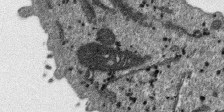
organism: Human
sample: Lung epithelial cells infected with SARS-CoV-2